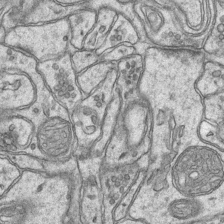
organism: Mouse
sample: CA1 Hippocampus